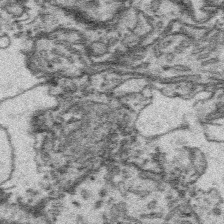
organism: Platynereis dumerilii